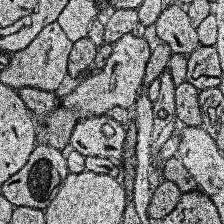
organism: Human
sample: Temporal Lobe